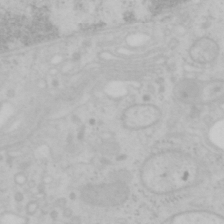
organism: Mouse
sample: OT-I killer T cells with ID8 ovarian cancer cells